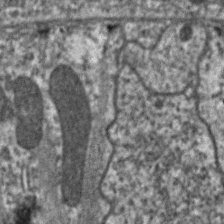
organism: C. elegans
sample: Pharynx